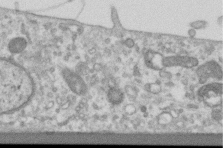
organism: Human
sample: Centriole in RPE cells